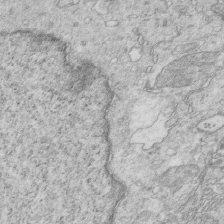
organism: Mouse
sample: Multiciliated cells